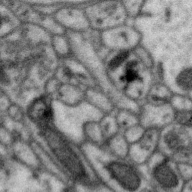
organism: Zebra finch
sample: Brain